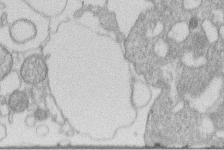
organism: Human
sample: Macrophage cells